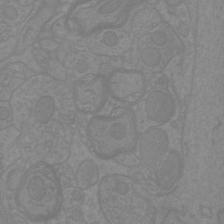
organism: Mouse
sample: Cortical neurons